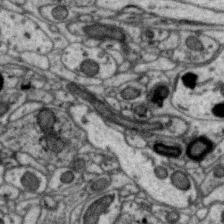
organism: Zebra finch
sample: Brain